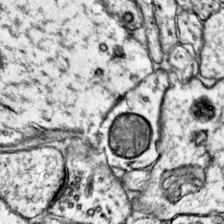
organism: Mouse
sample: Primary visual cortex